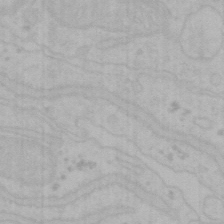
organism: Mouse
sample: Choroid plexus